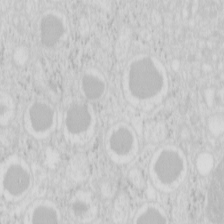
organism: Mouse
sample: Pancreas